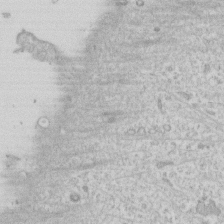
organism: Human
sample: Fibroblast cells